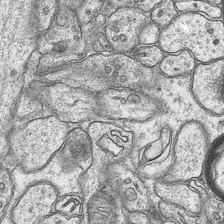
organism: Mouse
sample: CA1 Hippocampus